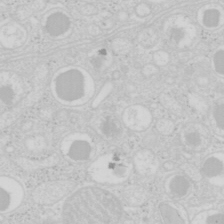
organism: Mouse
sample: Pancreas